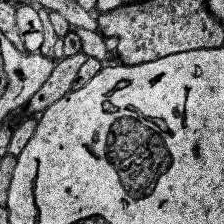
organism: Human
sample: Temporal Lobe